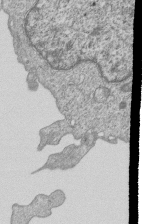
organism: Human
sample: MDA-MB-231 cells